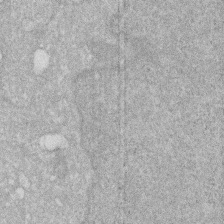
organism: Human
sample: HIV infected U937 cells